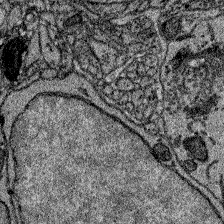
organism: Zebrafish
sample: Larval olfactory bulb